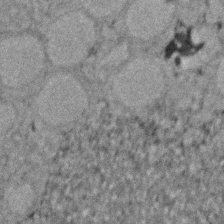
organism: Zebrafish